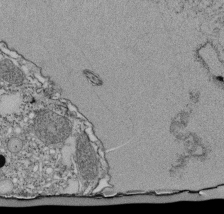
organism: Tetrahymena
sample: Cilia in tetrahymena